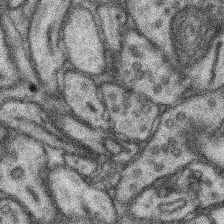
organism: Mouse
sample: Somatosensory cortex neuropil